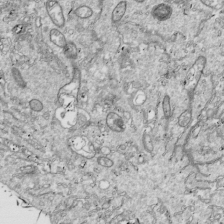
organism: Drosophila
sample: Cell division; meiosis; drosophila spermatocytes